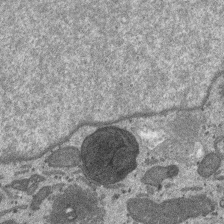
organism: Human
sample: Lung epithelial cells infected with SARS-CoV-2